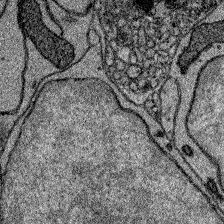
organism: Zebrafish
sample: Larval olfactory bulb